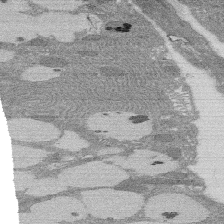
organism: Rat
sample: Salivary granule